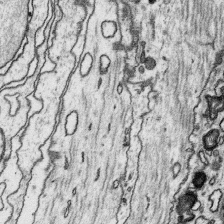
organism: Platynereis dumerilii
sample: Parapodia